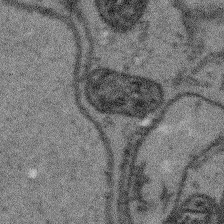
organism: Arabidopsis thaliana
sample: Root tip